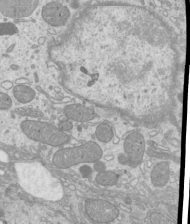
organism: Mouse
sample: Cilia; mouse epididymis